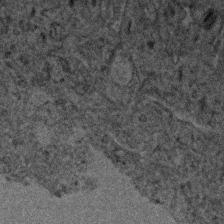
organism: Human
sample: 1205lu cells